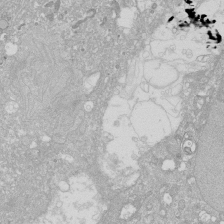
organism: Human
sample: Caco-2 cells